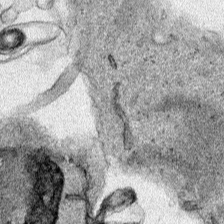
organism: Human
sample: Mitochondria in HCT116 cells